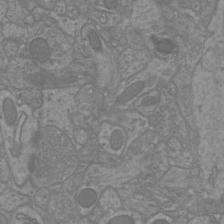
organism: Mouse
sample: Cortical neurons